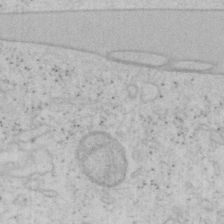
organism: Human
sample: HeLa cells